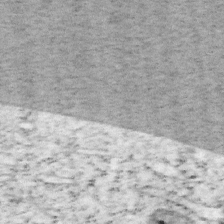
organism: Mouse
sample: OT-I killer T cells with ID8 ovarian cancer cells